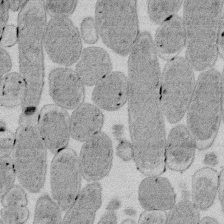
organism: E. coli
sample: Bacterial nucleoid